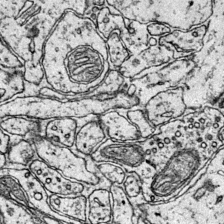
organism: Mouse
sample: Primary visual cortex